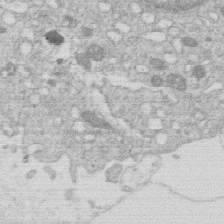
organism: Human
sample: Macrophage cells